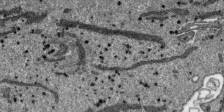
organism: Human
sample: Lung epithelial cells, uninfected (mock) control